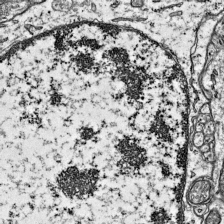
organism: Mouse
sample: Visual Cortex